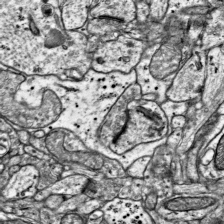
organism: Mouse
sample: Visual Cortex